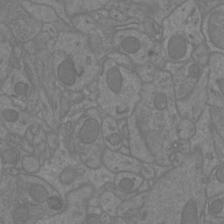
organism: Mouse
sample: Cortical neurons